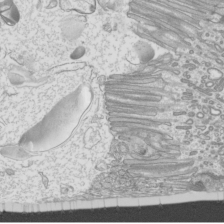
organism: Mouse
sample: Cilia; mouse epididymis